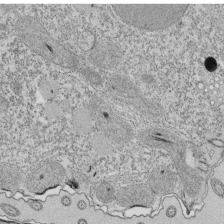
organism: Tetrahymena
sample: Cilia in tetrahymena